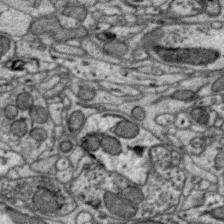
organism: Zebra finch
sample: Brain